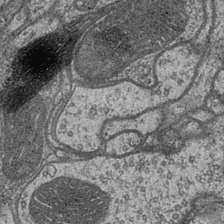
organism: Drosophila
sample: Optic medulla